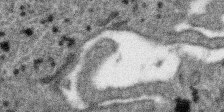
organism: Human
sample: Lung epithelial cells infected with SARS-CoV-2